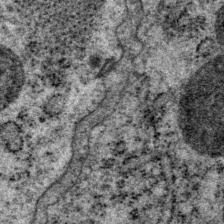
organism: P. pacificus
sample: Pharynx